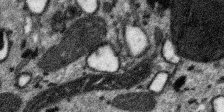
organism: Human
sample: Lung epithelial cells infected with SARS-CoV-2